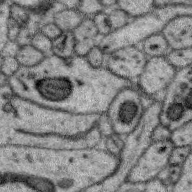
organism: Zebra finch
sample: Brain